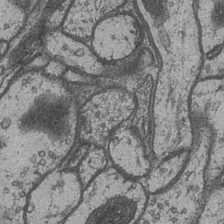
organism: Drosophila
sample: Optic medulla